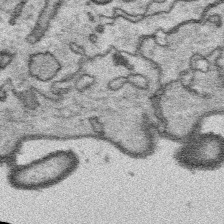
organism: Platynereis dumerilii